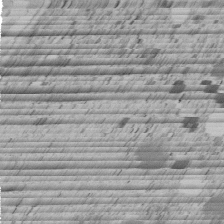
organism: C. elegans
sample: C. elegans embryo early stage